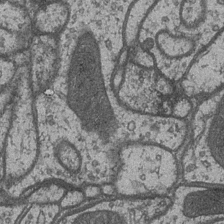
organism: Drosophila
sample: Optic medulla